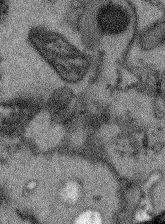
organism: Arabidopsis thaliana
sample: Root tip